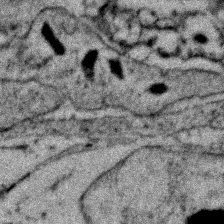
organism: Zebrafish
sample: Zebrafish embryo